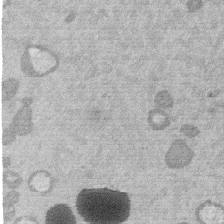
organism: Mouse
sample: Dividing mouse embryo 1 cell stage